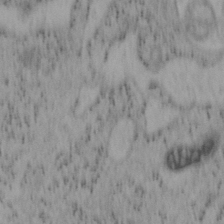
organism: Mouse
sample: OT-I killer T cells with ID8 ovarian cancer cells